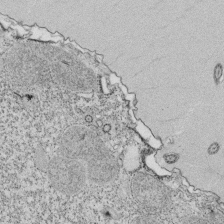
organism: Tetrahymena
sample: Cilia in tetrahymena